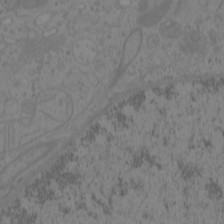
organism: Human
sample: HeLa cells